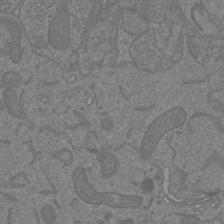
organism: Mouse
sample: Cortical neurons